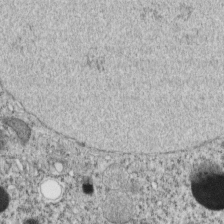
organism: C. elegans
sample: C. elegans embryo early stage